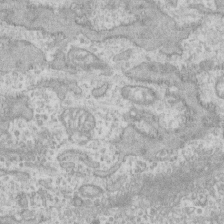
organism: Human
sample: CRL-1474